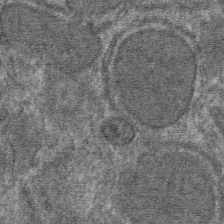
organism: Mouse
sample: Mouse hepatocytes